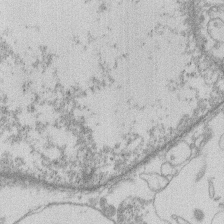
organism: Human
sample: Macrophage cells